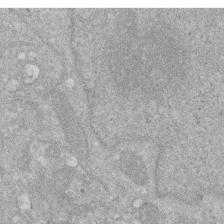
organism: Human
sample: HIV infected U937 cells